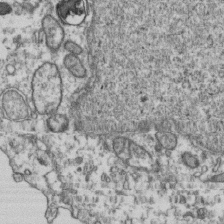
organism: Human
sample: Activated Jurkat CD4+ T cells